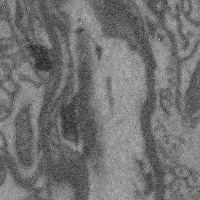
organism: Mouse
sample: Cerebral cortex